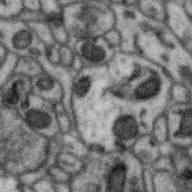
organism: Zebra finch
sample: Brain